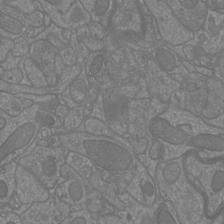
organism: Mouse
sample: Cortical neurons